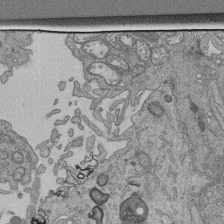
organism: Human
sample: Retinal organoid Rod and Cone cells